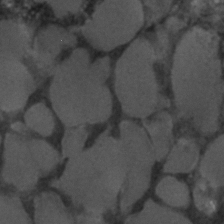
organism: C. elegans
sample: C. elegans embryo